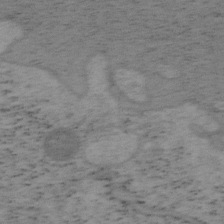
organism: Mouse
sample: OT-I killer T cells with ID8 ovarian cancer cells